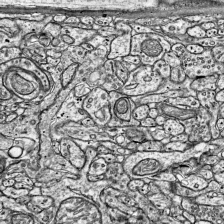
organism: Mouse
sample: Visual Cortex